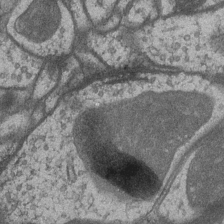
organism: Drosophila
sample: Optic medulla